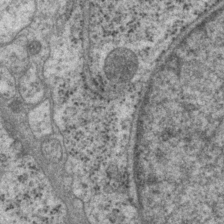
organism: P. pacificus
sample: Pharynx